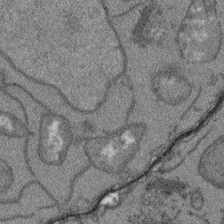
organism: Arabidopsis thaliana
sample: Root tip